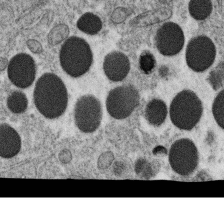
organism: C. elegans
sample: C. elegans oocyte; sperm cells